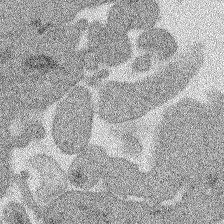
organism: Human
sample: HeLa cells